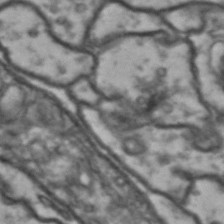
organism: Drosophila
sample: Brain